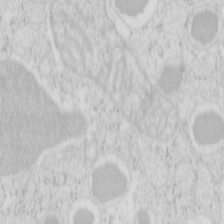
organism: Mouse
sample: Pancreas